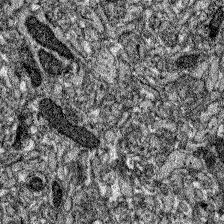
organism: Zebrafish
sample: Larval olfactory bulb